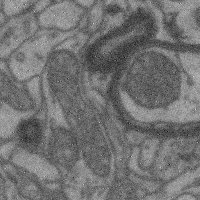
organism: Mouse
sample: Cerebral cortex